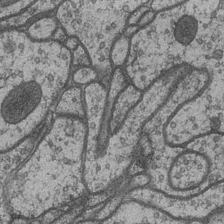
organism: Drosophila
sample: Optic medulla